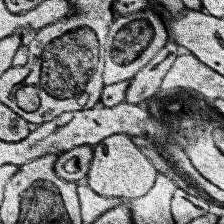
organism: Human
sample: Temporal Lobe